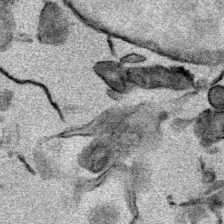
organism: Mouse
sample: Cancer cell death in ED-1 cells